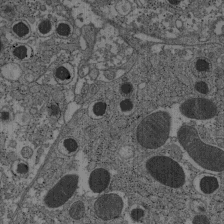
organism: C57BL Mouse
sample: Pancreatic islet